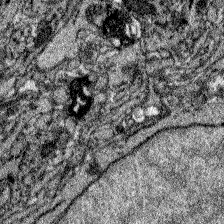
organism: Zebrafish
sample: Larval olfactory bulb